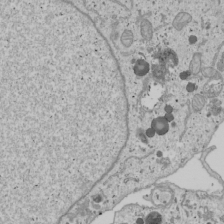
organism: Human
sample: Mitochondria in U2OS cells